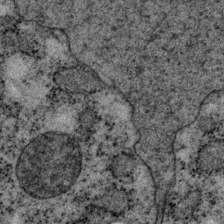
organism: P. pacificus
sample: Pharynx